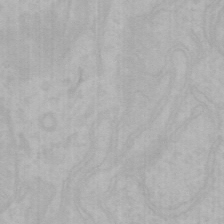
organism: Mouse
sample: Choroid plexus